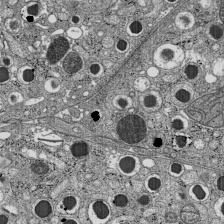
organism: C57BL Mouse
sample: Pancreatic islet